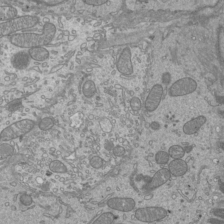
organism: Mouse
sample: Cilia; mouse epididymis